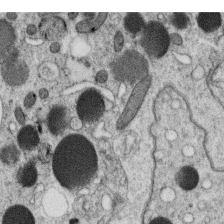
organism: C. elegans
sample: C. elegans oocyte; sperm cells